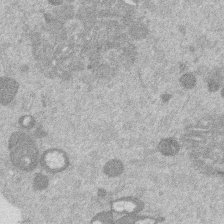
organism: Mouse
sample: Dividing mouse embryo 1 cell stage